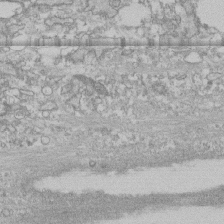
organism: Human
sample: CRL-1474